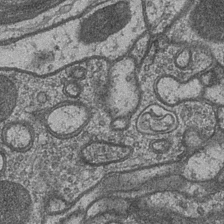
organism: Drosophila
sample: Optic medulla